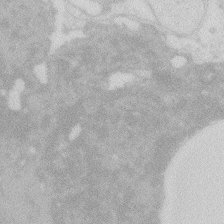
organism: Zebrafish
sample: Macrophage